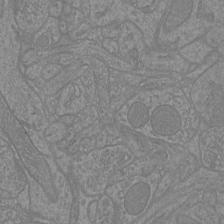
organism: Mouse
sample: Cortical neurons